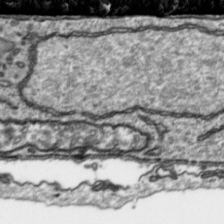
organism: Toxoplasma gondii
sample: Parasites in a vacuole inside a host cell